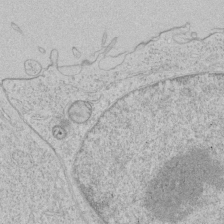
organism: Human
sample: Mitochondria in HCT116 cells